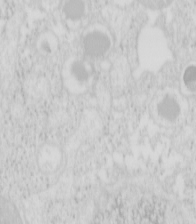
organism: Mouse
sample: Pancreas